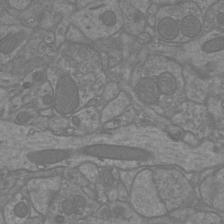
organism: Mouse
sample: Cortical neurons